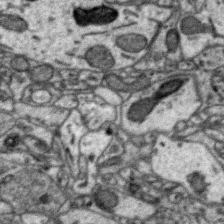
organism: Zebra finch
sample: Brain